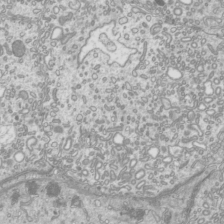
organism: Mouse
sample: Cilia; mouse epididymis